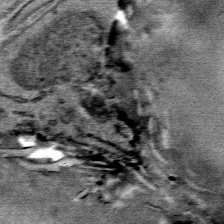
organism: Mouse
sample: Mouse Salivary gland